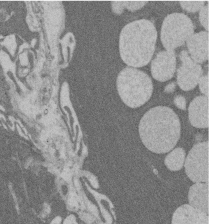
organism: Rat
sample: Salivary granule